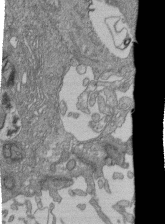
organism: Human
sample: Retinal organoid Rod and Cone cells